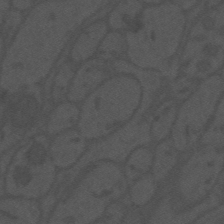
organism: Mouse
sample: Suprachiasmatic nucleus